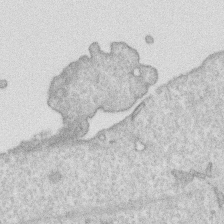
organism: Human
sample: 1205lu cells